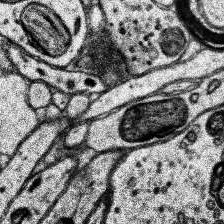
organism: Human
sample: Temporal Lobe